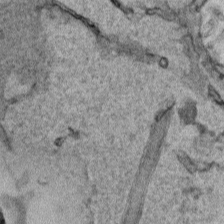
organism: Human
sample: Mitochondria in HCT116 cells